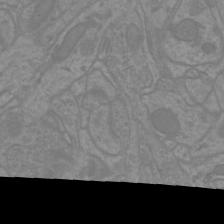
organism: Mouse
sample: Cortical neurons